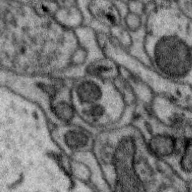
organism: Zebra finch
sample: Brain